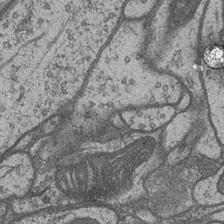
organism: Drosophila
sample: Optic medulla